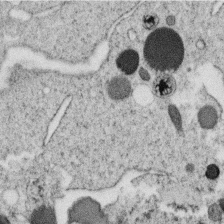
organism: C. elegans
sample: C. elegans oocyte; sperm cells